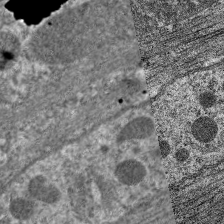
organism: C. elegans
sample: Pharynx